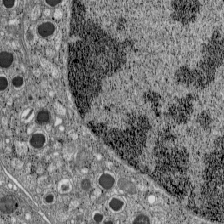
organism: C57BL Mouse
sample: Pancreatic islet